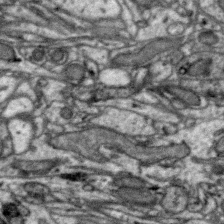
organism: Zebra finch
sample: Brain